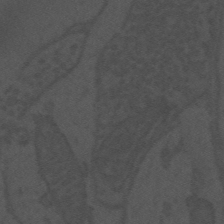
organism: Mouse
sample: Suprachiasmatic nucleus